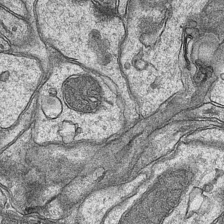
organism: Mouse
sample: CA1 Hippocampus